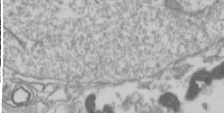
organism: Drosophila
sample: Cell division; meiosis; drosophila spermatocytes